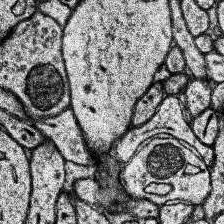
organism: Human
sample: Temporal Lobe